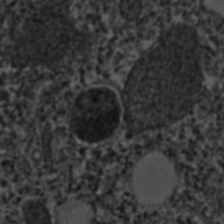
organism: C. elegans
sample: C. elegans embryo